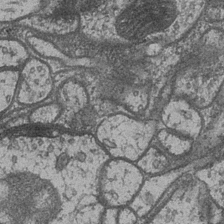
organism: Drosophila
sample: Optic medulla